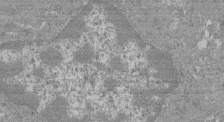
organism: Mouse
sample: Glomerulus